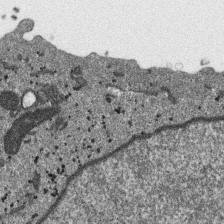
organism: Human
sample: Lung epithelial cells infected with SARS-CoV-2